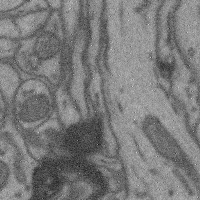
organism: Mouse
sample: Cerebral cortex